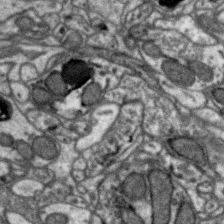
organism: Zebra finch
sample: Brain